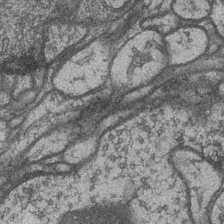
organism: Drosophila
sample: Optic medulla